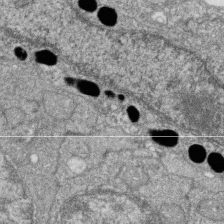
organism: Zebrafish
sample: Cilia; retinal pigment epithelium